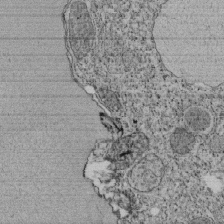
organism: Tetrahymena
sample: Cilia in tetrahymena